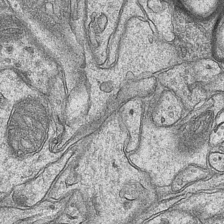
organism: Mouse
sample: CA1 Hippocampus